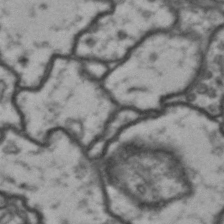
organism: Drosophila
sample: Brain